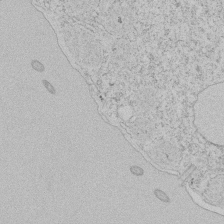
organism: Tetrahymena